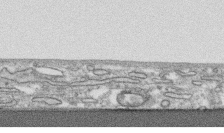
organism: Human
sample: CRL-1474